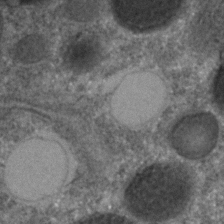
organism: C. elegans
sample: C. elegans embryo